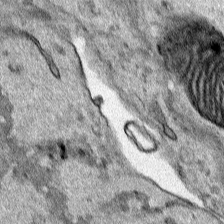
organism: Human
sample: Mitochondria in HCT116 cells